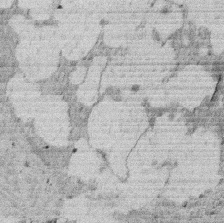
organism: Rat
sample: Salivary granule